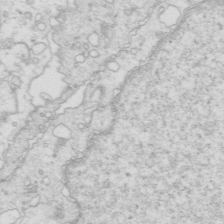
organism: Mouse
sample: Multiciliated cells